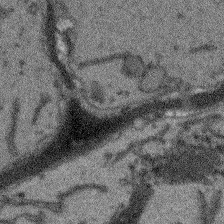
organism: Arabidopsis thaliana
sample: Root tip